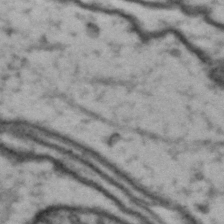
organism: Drosophila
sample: Brain